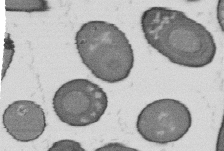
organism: B. subtilis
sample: Bacterial spore